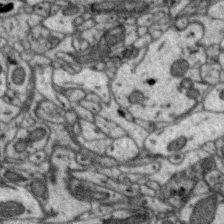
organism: Zebra finch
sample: Brain